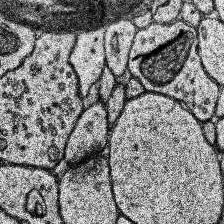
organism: Human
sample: Temporal Lobe